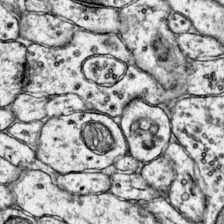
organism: Mouse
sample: Primary visual cortex